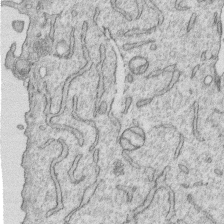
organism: Human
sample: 1205lu cells